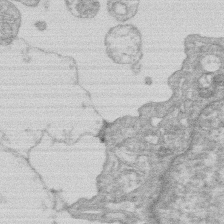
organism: Human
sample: Macrophage cells